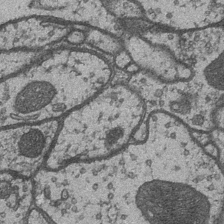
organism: Drosophila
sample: Optic medulla